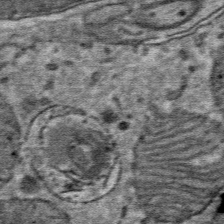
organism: Mouse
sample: Mouse Salivary gland